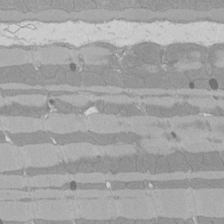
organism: Rat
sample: Left ventricle